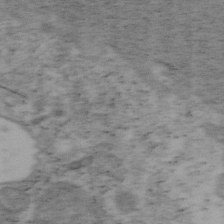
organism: Mouse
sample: OT-I killer T cells with ID8 ovarian cancer cells